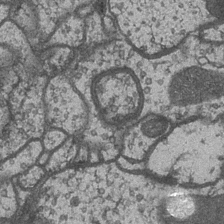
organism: Drosophila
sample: Optic medulla